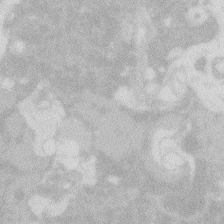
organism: Zebrafish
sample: Macrophage